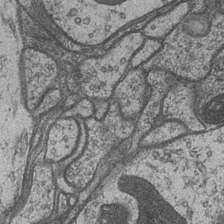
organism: Drosophila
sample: Optic medulla